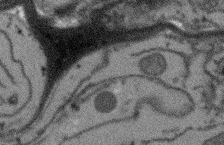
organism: Arabidopsis thaliana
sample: Root tip